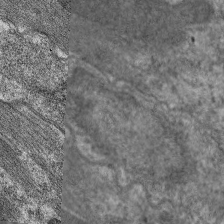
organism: C. elegans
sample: Pharynx